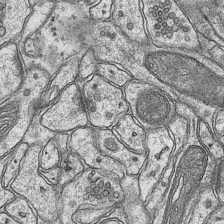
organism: Mouse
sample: CA1 Hippocampus